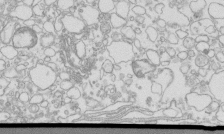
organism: Mouse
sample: Macrophages